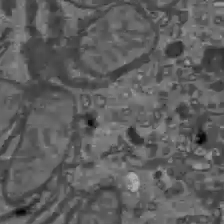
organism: C57BL Mouse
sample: Liver